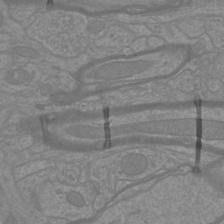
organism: Mouse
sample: Cortical neurons